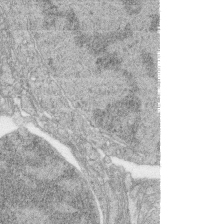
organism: Zebrafish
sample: synaptic ribbons in rod cells and cone cells